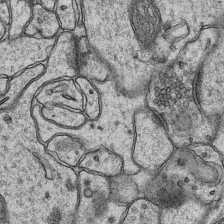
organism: Mouse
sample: CA1 Hippocampus